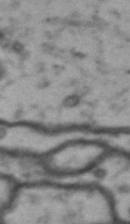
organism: Drosophila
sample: Brain